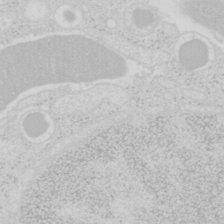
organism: Mouse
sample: Pancreas